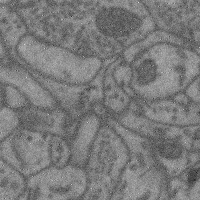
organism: Mouse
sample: Cerebral cortex